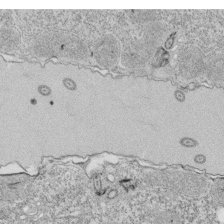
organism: Tetrahymena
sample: Cilia in tetrahymena